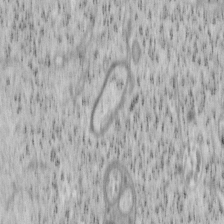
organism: Human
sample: HeLa cells